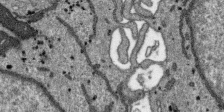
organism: Human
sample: Lung epithelial cells, uninfected (mock) control